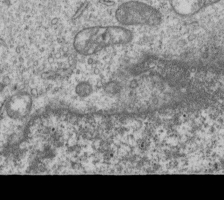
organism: Human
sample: MDA-MB-231 cells